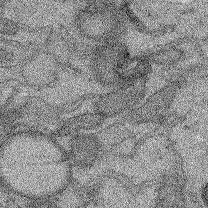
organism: Human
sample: HeLa cells